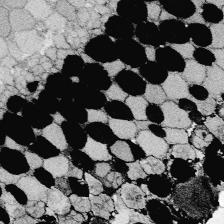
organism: Zebrafish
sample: Whole-Brain